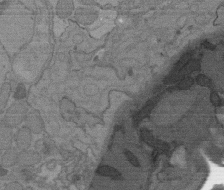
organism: C. elegans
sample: AFD neurons C. elegans